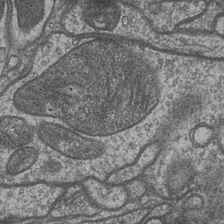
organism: Drosophila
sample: Optic medulla